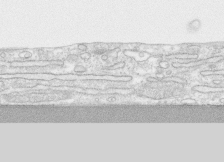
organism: Human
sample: CRL-1474